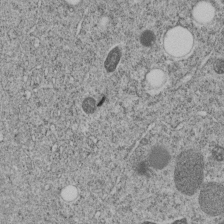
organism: C. elegans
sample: C. elegans embryo early stage